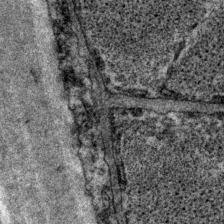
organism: P. pacificus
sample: Pharynx